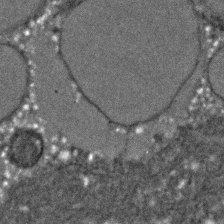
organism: C. elegans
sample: C. elegans embryo